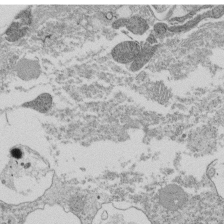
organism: Tetrahymena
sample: Cilia in tetrahymena